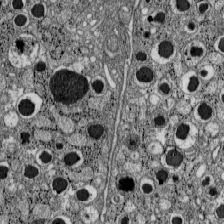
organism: C57BL Mouse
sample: Pancreatic islet